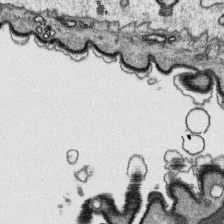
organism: Platynereis dumerilii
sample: Parapodia